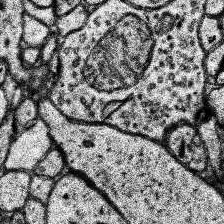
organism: Human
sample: Temporal Lobe